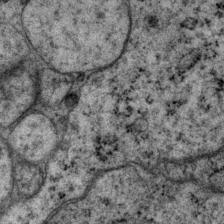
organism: P. pacificus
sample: Pharynx